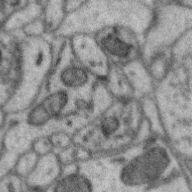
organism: Zebra finch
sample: Brain